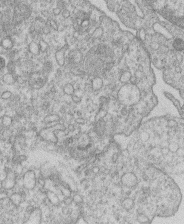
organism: Human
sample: Macrophage cells